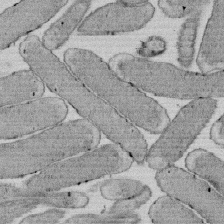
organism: E. coli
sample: Bacterial nucleoid